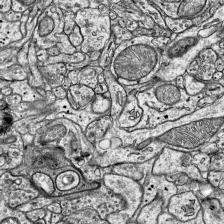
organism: Mouse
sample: Visual Cortex